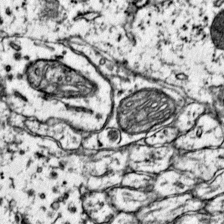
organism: Mouse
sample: Primary visual cortex